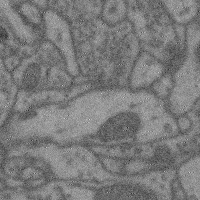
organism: Mouse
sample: Cerebral cortex